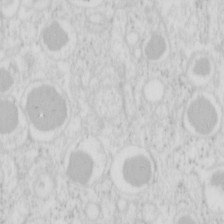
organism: Mouse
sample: Pancreas